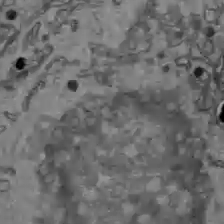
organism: C57BL Mouse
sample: Liver